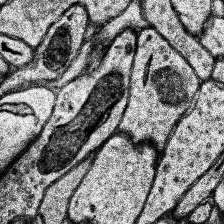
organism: Human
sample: Temporal Lobe